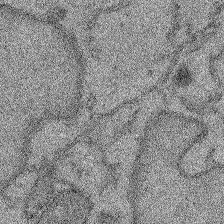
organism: Human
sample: HeLa cells